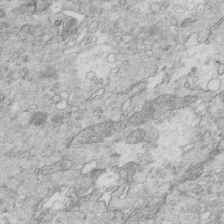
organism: Mouse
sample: Multiciliated cells